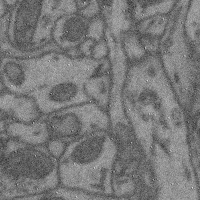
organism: Mouse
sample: Cerebral cortex